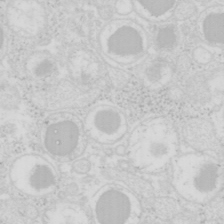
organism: Mouse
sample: Pancreas